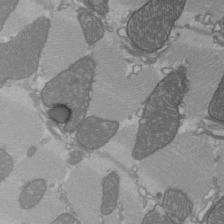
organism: C57BL Mouse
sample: Heart